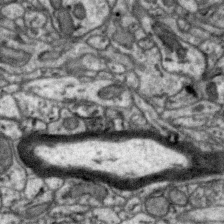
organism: Zebra finch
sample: Brain